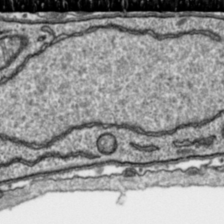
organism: Toxoplasma gondii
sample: Parasites in a vacuole inside a host cell